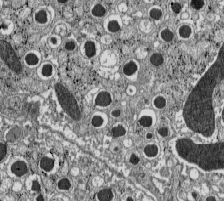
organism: C57BL Mouse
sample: Pancreatic islet